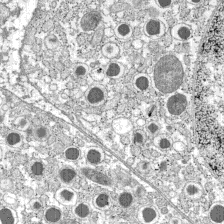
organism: C57BL Mouse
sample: Pancreatic islet